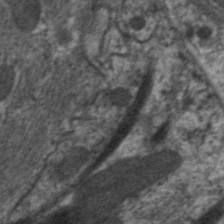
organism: C. elegans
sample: Pharynx